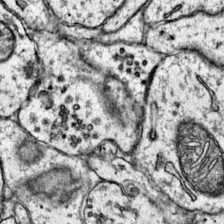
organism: Mouse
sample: Primary visual cortex